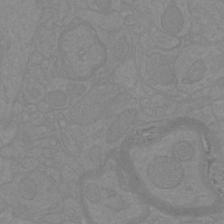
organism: Mouse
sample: Cortical neurons